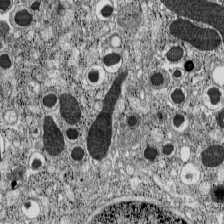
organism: C57BL Mouse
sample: Pancreatic islet